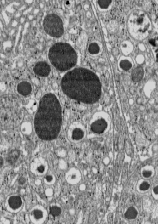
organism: C57BL Mouse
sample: Pancreatic islet